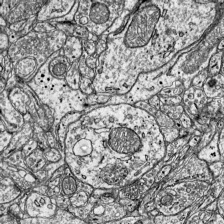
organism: Mouse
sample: Visual Cortex